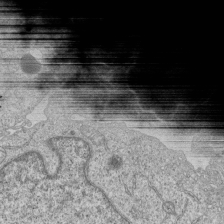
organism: Human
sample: MDA-MB-231 cells